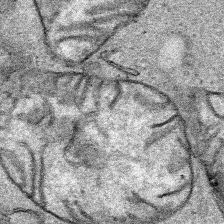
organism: Human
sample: Mitochondria in HCT116 cells